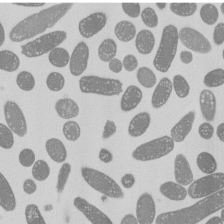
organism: E. coli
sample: Bacterial nucleoid